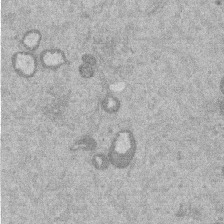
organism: Mouse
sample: Dividing mouse embryo 1 cell stage